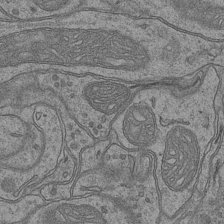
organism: Mouse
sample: CA1 Hippocampus